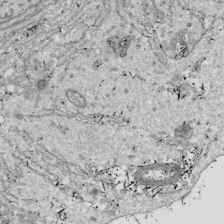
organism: Drosophila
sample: Cell division; meiosis; drosophila spermatocytes